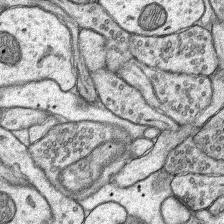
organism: Rat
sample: Hippocampus